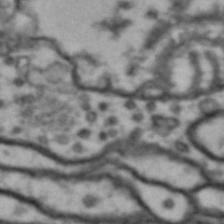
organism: Drosophila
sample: Brain